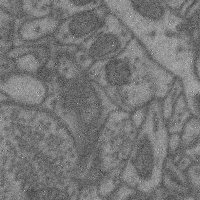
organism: Mouse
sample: Cerebral cortex